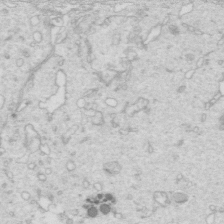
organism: Mouse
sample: Multiciliated cells